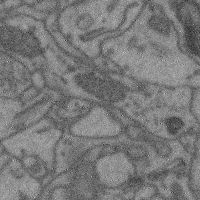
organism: Mouse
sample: Cerebral cortex